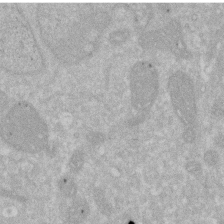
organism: Human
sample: HIV infected U937 cells